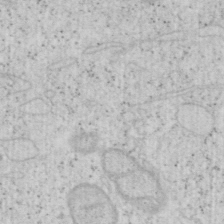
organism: Human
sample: HeLa cells